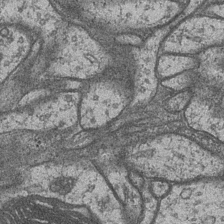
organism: Drosophila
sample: Optic medulla